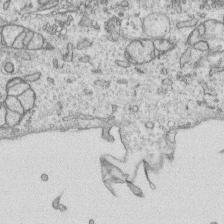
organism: Human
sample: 1205lu cells